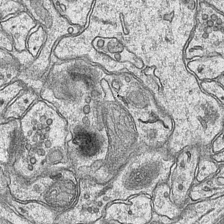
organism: Mouse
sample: CA1 Hippocampus